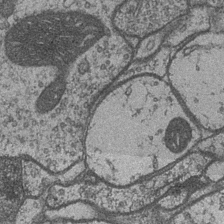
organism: Drosophila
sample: Optic medulla